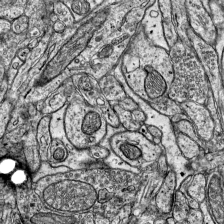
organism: Mouse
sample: Visual Cortex